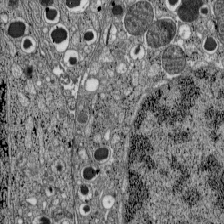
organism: C57BL Mouse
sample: Pancreatic islet